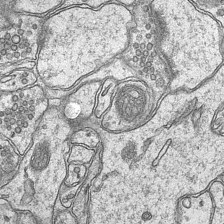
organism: Mouse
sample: CA1 Hippocampus